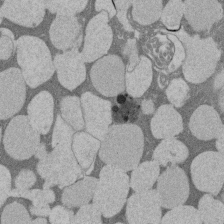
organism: Rat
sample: Salivary granule